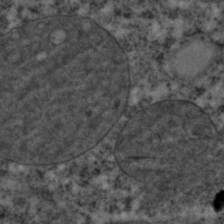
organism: C. elegans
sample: C. elegans embryo